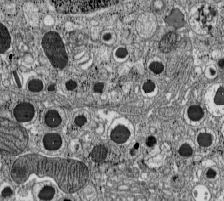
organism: C57BL Mouse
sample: Pancreatic islet